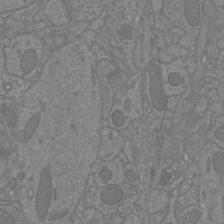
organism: Mouse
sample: Cortical neurons